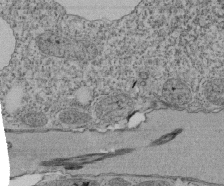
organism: Tetrahymena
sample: Cilia in tetrahymena